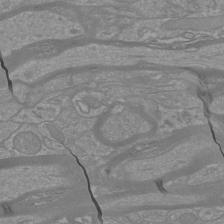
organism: Mouse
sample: Cortical neurons